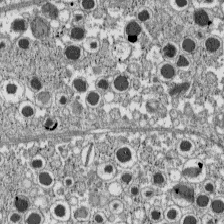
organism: C57BL Mouse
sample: Pancreatic islet